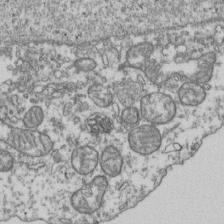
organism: Human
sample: Activated Jurkat CD4+ T cells